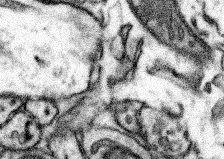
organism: Mouse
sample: Somatosensory cortex neuropil